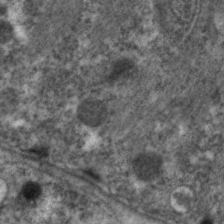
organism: C. elegans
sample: Pharynx